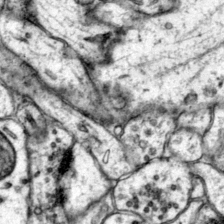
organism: Mouse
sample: Primary visual cortex